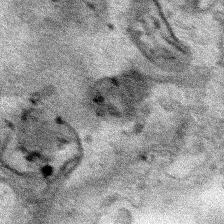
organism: Human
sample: Mitochondria in HCT116 cells